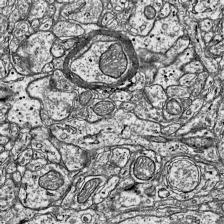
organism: Mouse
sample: Visual Cortex